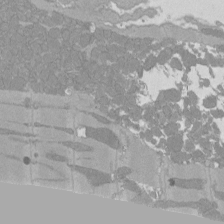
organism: Rat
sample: Left ventricle